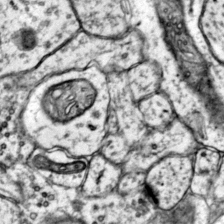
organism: Mouse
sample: Primary visual cortex